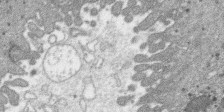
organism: Human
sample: Lung epithelial cells infected with SARS-CoV-2